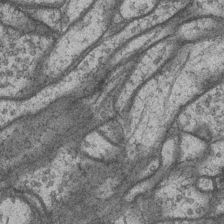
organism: Drosophila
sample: Optic medulla